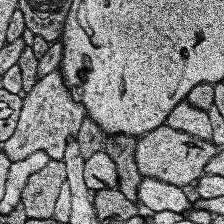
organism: Human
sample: Temporal Lobe